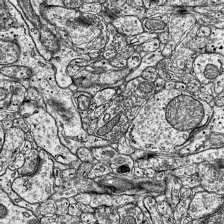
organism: Mouse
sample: Visual Cortex